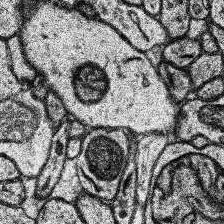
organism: Human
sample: Temporal Lobe